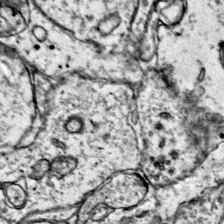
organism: Mouse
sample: Primary visual cortex